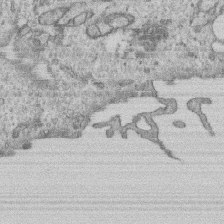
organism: Human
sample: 1205lu cells